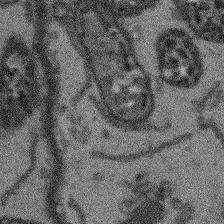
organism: Arabidopsis thaliana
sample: Root tip